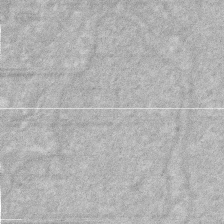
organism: Human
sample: HIV infected U937 cells